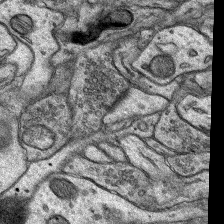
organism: Rat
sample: Hippocampus